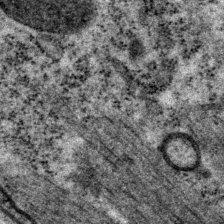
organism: P. pacificus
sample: Pharynx